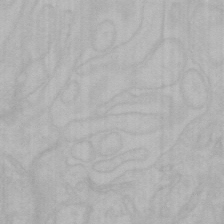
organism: Mouse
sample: Choroid plexus